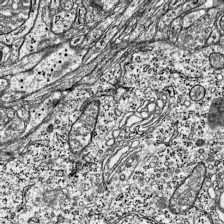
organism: Mouse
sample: Visual Cortex